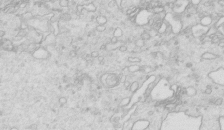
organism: Mouse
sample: Multiciliated cells